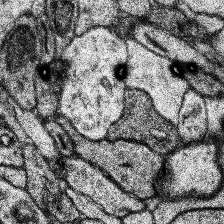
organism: Human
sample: Temporal Lobe